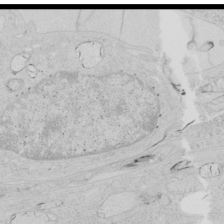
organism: Human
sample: Mitochondria in HCT116 cells